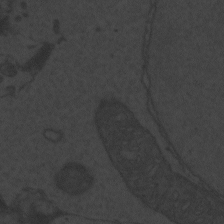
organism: Zebrafish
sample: Macrophage infected with Toxoplasma gondii